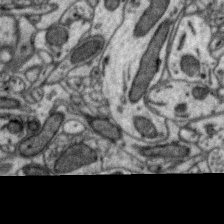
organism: Zebra finch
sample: Brain